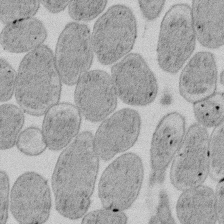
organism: E. coli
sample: Bacterial nucleoid